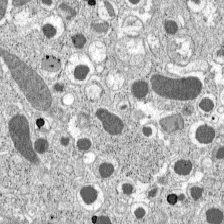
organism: C57BL Mouse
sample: Pancreatic islet